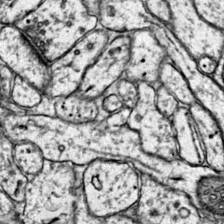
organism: Mouse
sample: Primary visual cortex